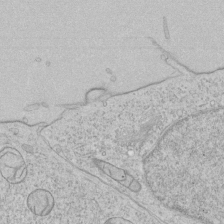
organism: Human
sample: Mitochondria in HCT116 cells